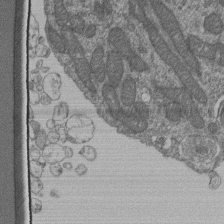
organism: Human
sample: Retinal organoid Rod and Cone cells